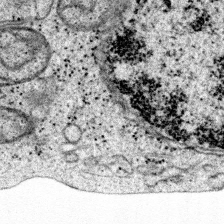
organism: Human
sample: HeLa cells